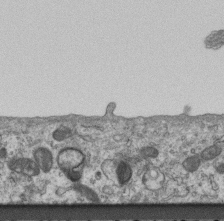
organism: Mouse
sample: Centriole in ependymal cells